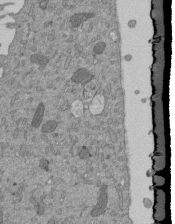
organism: Mouse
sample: ED-1 cell nuclei; centrioles